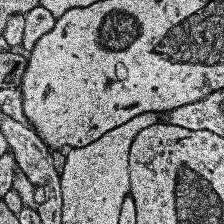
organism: Human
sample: Temporal Lobe